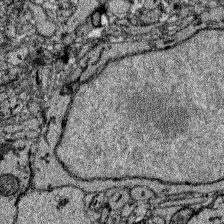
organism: Zebrafish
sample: Larval olfactory bulb